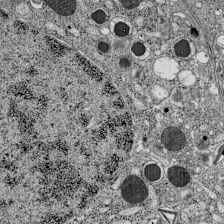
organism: C57BL Mouse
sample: Pancreatic islet